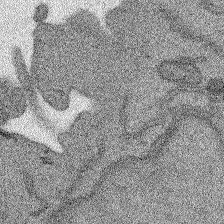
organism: Human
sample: HeLa cells